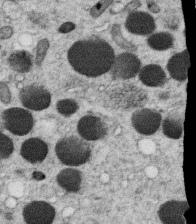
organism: C. elegans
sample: C. elegans oocyte; sperm cells